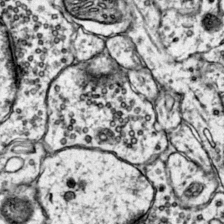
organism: Mouse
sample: Primary visual cortex